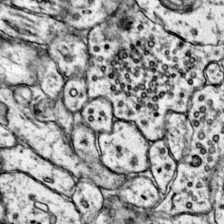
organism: Mouse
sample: Primary visual cortex